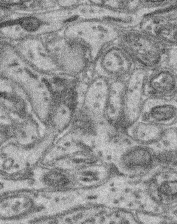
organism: Mouse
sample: Retina